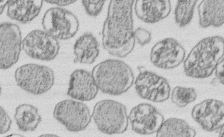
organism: E. coli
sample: Bacterial nucleoid